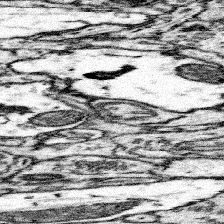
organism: Mouse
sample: Somatosensory cortex neuropil